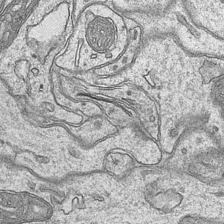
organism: Mouse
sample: CA1 Hippocampus